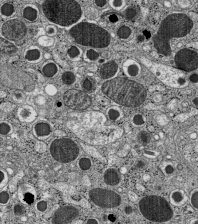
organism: C57BL Mouse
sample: Pancreatic islet